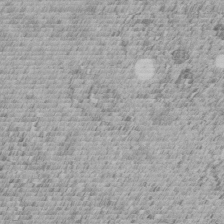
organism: C. elegans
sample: C. elegans embryo early stage